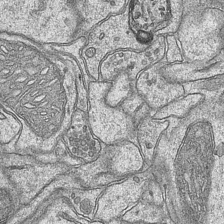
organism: Mouse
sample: CA1 Hippocampus